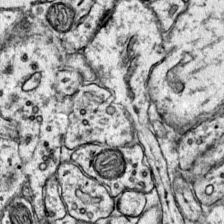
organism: Mouse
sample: Primary visual cortex